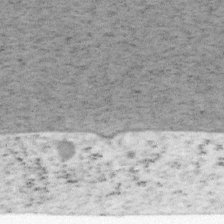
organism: Mouse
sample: OT-I killer T cells with ID8 ovarian cancer cells